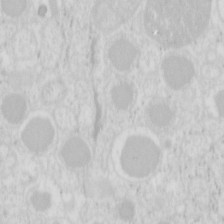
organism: Mouse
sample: Pancreas